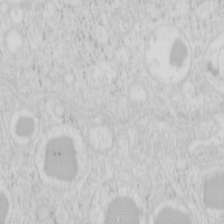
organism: Mouse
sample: Pancreas